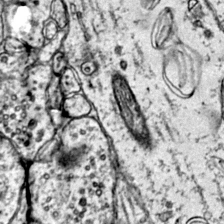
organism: Mouse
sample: Primary visual cortex